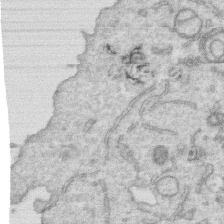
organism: Human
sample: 1205lu cells